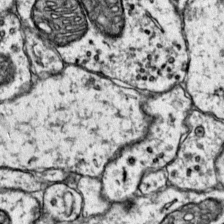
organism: Mouse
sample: Primary visual cortex